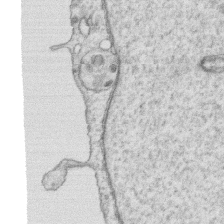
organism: Human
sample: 1205lu cells